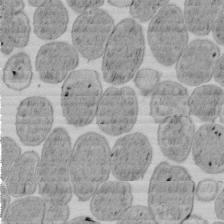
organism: E. coli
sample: Bacterial nucleoid